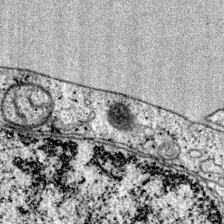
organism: Human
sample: HeLa cells